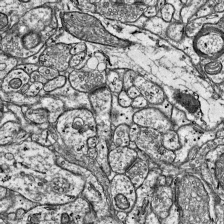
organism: Mouse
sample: Visual Cortex